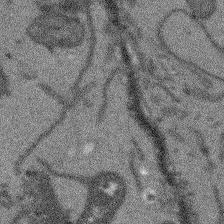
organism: Arabidopsis thaliana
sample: Root tip